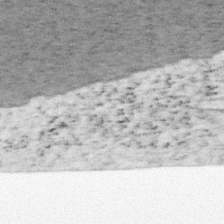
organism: Mouse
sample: OT-I killer T cells with ID8 ovarian cancer cells